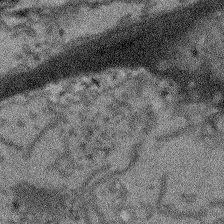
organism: Arabidopsis thaliana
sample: Root tip